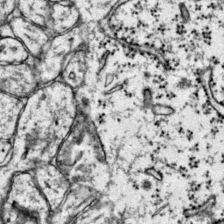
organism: Mouse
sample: Primary visual cortex